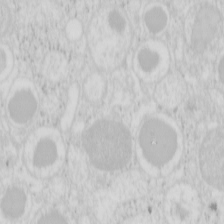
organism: Mouse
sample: Pancreas